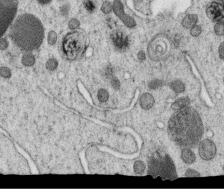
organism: C. elegans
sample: C. elegans oocyte; sperm cells